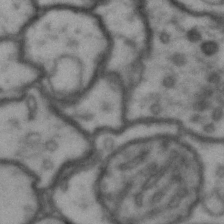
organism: Drosophila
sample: Brain